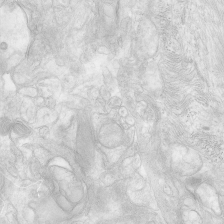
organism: Human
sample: Neocortex